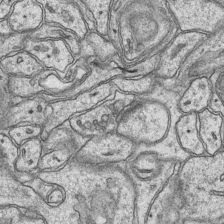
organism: Mouse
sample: CA1 Hippocampus